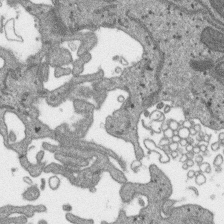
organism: Human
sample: Lung epithelial cells infected with SARS-CoV-2